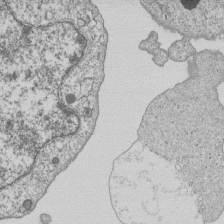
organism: Human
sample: MDA-MB-231 cells